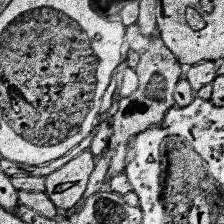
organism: Human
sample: Temporal Lobe